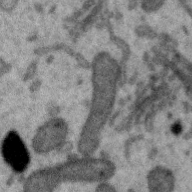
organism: Zebra finch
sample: Brain